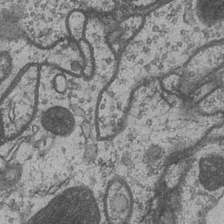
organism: Drosophila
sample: Optic medulla